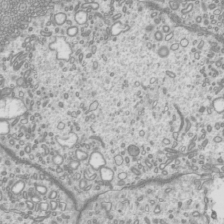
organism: Mouse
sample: Cilia; mouse epididymis